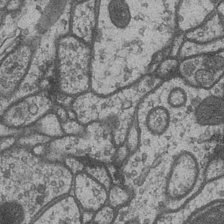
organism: Drosophila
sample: Optic medulla